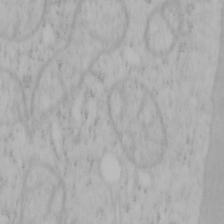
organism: Mouse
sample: OT-I killer T cells with ID8 ovarian cancer cells